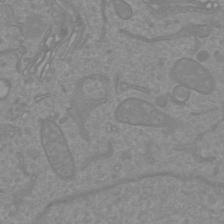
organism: Mouse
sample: Cortical neurons